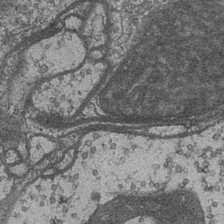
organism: Drosophila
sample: Optic medulla